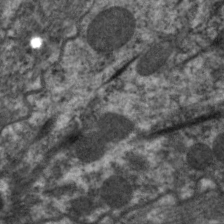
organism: C. elegans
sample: Pharynx